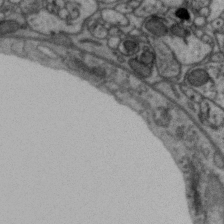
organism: Zebra finch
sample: Brain